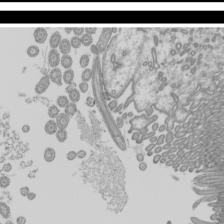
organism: Mouse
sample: Cilia; mouse epididymis